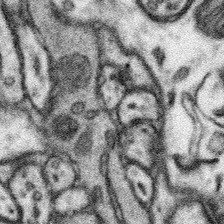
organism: Mouse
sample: Somatosensory cortex neuropil